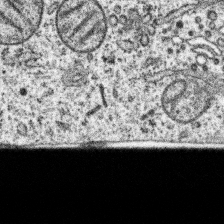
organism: Human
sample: HeLa cells